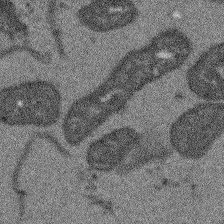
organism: Arabidopsis thaliana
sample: Root tip